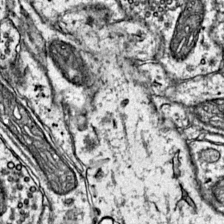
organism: Mouse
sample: Primary visual cortex